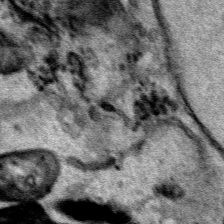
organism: Human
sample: Mitochondria in HCT116 cells